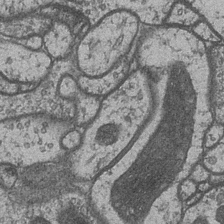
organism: Drosophila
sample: Optic medulla